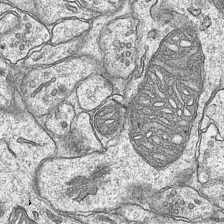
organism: Mouse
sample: CA1 Hippocampus